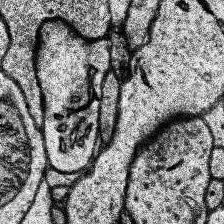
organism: Human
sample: Temporal Lobe